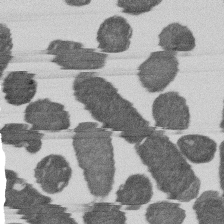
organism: E. coli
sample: Bacterial nucleoid